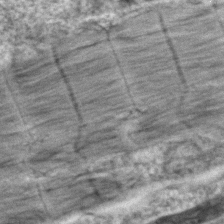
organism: Zebrafish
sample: Zebrafish embryo